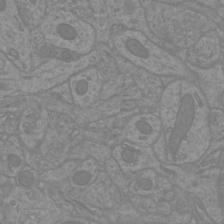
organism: Mouse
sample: Cortical neurons